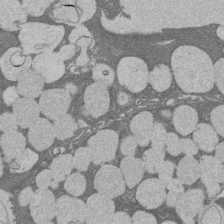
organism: Rat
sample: Salivary granule